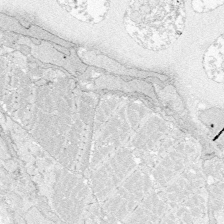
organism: Zebrafish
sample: Whole-Brain